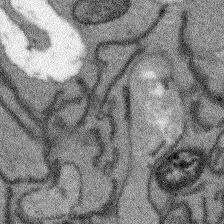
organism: Arabidopsis thaliana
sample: Root tip